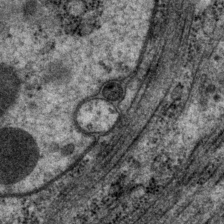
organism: P. pacificus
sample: Pharynx